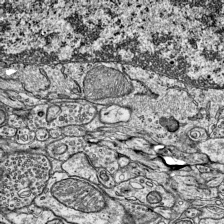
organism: Mouse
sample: Visual Cortex